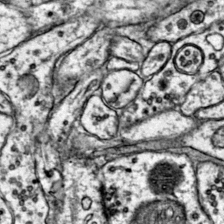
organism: Mouse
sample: Primary visual cortex